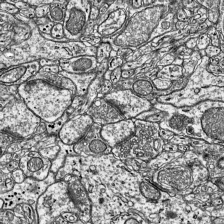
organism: Mouse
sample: Visual Cortex